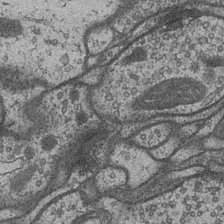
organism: Drosophila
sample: Optic medulla